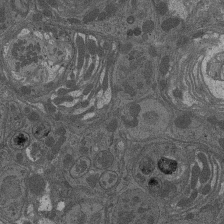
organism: Drosophila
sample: Antenna